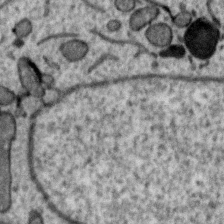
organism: Zebra finch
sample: Brain